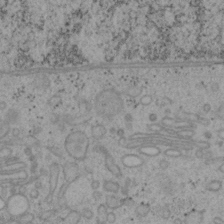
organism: Human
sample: HeLa cells